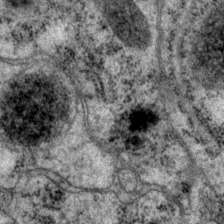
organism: P. pacificus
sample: Pharynx